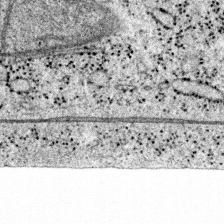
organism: Human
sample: HeLa cells